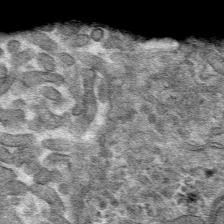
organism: Mouse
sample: Mouse hepatocytes